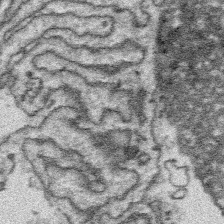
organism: Platynereis dumerilii